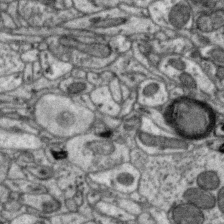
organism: Zebra finch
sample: Brain